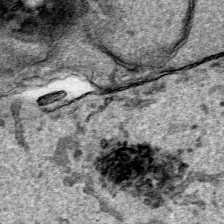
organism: Human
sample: Mitochondria in HCT116 cells